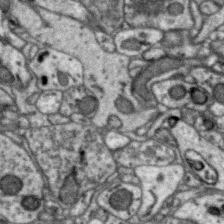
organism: Zebra finch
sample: Brain